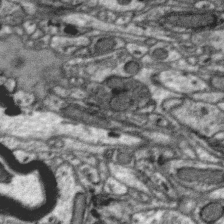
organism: Zebra finch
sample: Brain